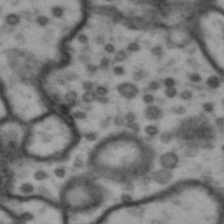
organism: Drosophila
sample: Brain